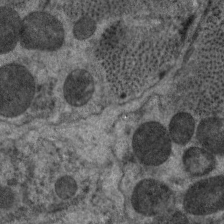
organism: C. elegans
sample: Pharynx